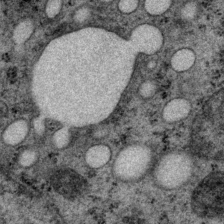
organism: P. pacificus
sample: Pharynx